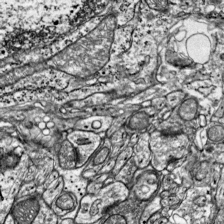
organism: Mouse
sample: Visual Cortex